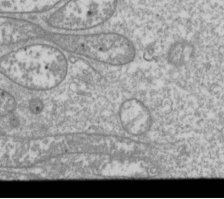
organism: Drosophila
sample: Cell division; meiosis; drosophila spermatocytes